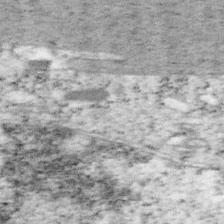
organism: Mouse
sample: OT-I killer T cells with ID8 ovarian cancer cells